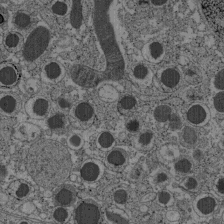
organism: C57BL Mouse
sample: Pancreatic islet